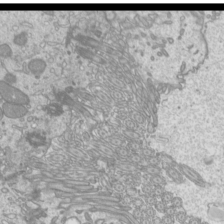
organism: Mouse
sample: Cilia; mouse epididymis